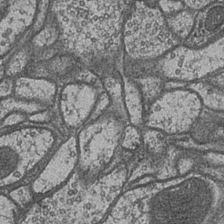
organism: Drosophila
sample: Optic medulla